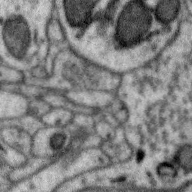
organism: Zebra finch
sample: Brain